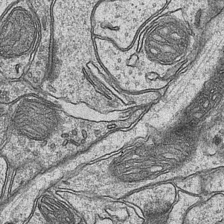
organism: Mouse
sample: CA1 Hippocampus